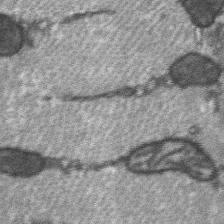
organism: C57BL Mouse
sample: Soleus